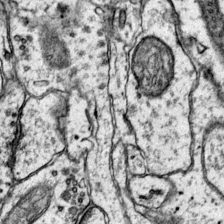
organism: Mouse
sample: Primary visual cortex